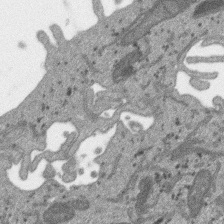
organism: Human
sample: Lung epithelial cells infected with SARS-CoV-2